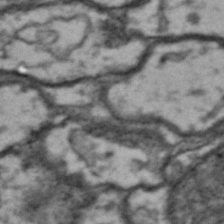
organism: Drosophila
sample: Brain